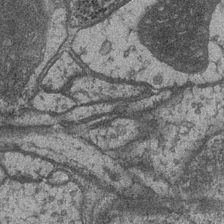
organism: Drosophila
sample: Optic medulla